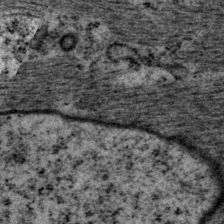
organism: P. pacificus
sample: Pharynx